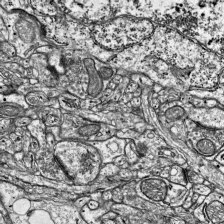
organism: Mouse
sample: Visual Cortex